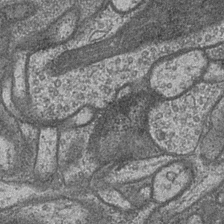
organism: Drosophila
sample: Optic medulla